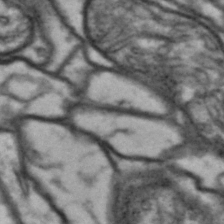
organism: Drosophila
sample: Brain